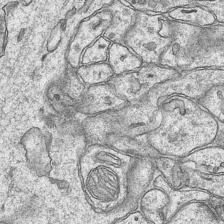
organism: Mouse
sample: CA1 Hippocampus